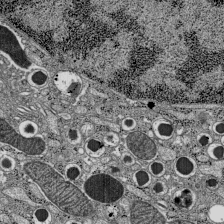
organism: C57BL Mouse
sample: Pancreatic islet